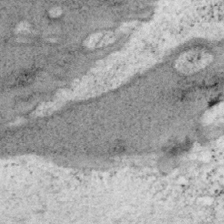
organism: Mouse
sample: OT-I killer T cells with ID8 ovarian cancer cells